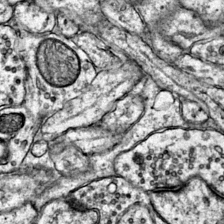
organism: Mouse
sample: Primary visual cortex